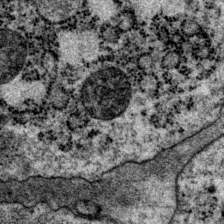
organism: P. pacificus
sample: Pharynx